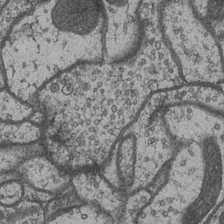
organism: Drosophila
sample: Optic medulla